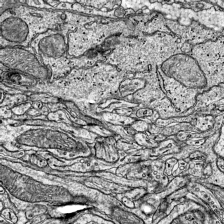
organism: Mouse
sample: Visual Cortex